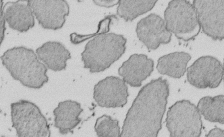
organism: E. coli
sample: Bacterial nucleoid